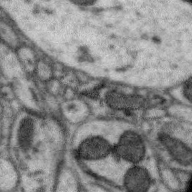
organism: Zebra finch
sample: Brain